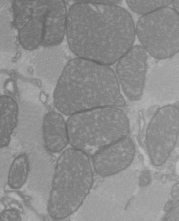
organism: C57BL Mouse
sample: Heart